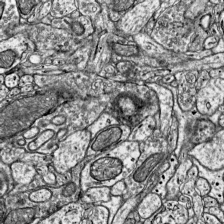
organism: Mouse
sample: Visual Cortex